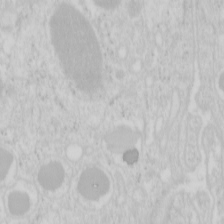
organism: Mouse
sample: Pancreas